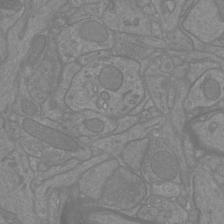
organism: Mouse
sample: Cortical neurons